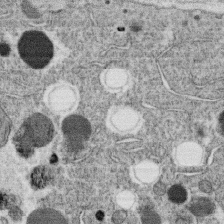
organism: C. elegans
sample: C. elegans oocyte; sperm cells